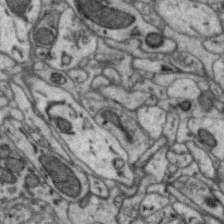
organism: Zebra finch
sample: Brain